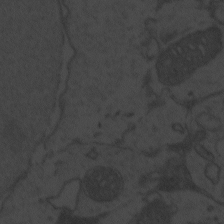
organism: Zebrafish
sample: Macrophage infected with Toxoplasma gondii